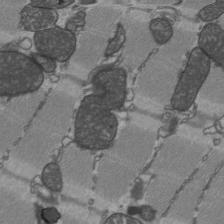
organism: C57BL Mouse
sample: Heart